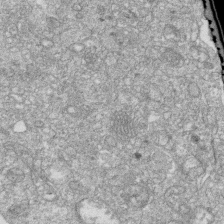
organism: Human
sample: HeLa cell HIV synapse